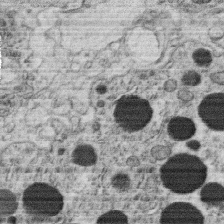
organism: C. elegans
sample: C. elegans oocyte; sperm cells